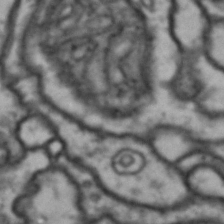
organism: Drosophila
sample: Brain